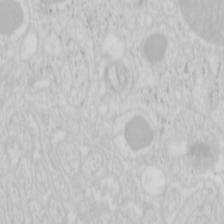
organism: Mouse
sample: Pancreas